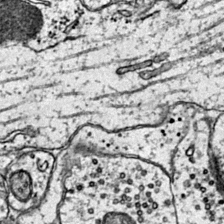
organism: Mouse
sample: Primary visual cortex